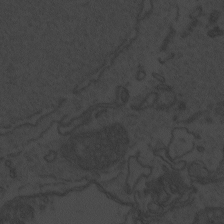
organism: Zebrafish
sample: Macrophage infected with Toxoplasma gondii